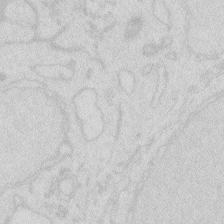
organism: Zebrafish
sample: Macrophage